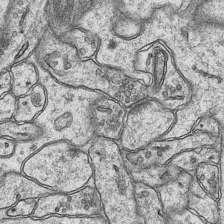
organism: Mouse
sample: CA1 Hippocampus